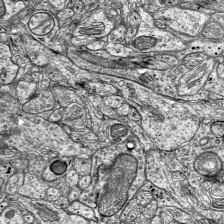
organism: Mouse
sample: Visual Cortex